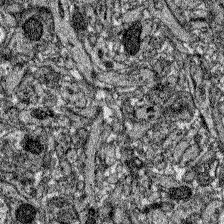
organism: Zebrafish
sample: Larval olfactory bulb